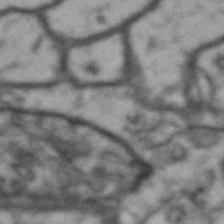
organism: Drosophila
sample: Brain